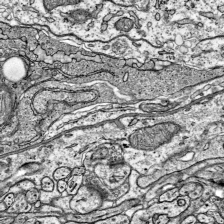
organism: Mouse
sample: Visual Cortex